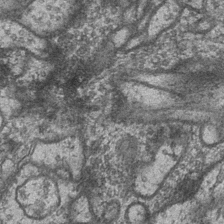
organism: Drosophila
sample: Optic medulla